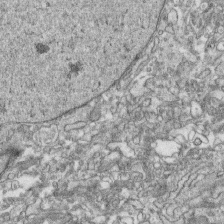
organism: Human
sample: CRL-1474